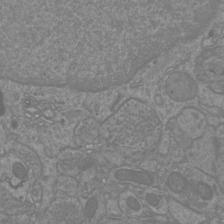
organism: Mouse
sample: Cortical neurons